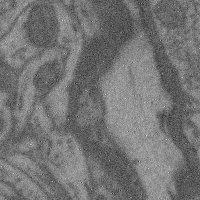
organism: Mouse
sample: Cerebral cortex